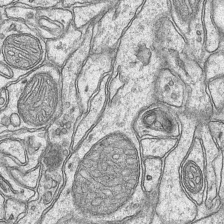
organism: Mouse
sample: CA1 Hippocampus